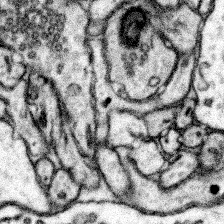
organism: Mouse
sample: Somatosensory cortex neuropil